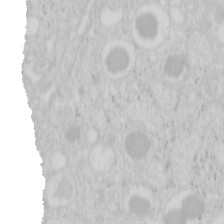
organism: Mouse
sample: Pancreas